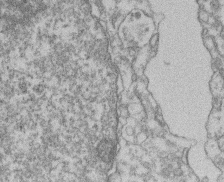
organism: Mouse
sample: T cell stromal cell synapse